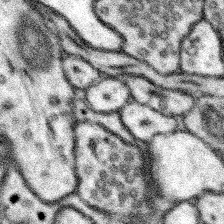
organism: Mouse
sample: Somatosensory cortex neuropil